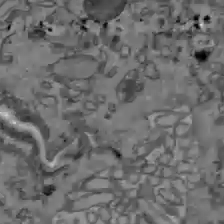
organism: C57BL Mouse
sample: Liver